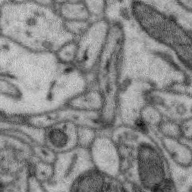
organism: Zebra finch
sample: Brain